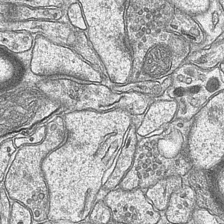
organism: Mouse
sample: CA1 Hippocampus